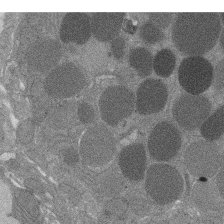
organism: Rat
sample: Salivary granule